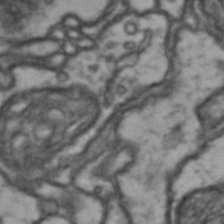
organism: Drosophila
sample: Brain